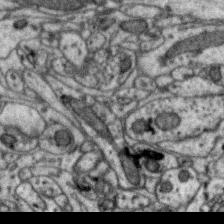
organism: Zebra finch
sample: Brain